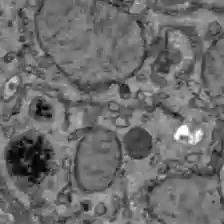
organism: C57BL Mouse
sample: Liver